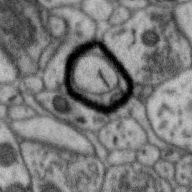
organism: Zebra finch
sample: Brain